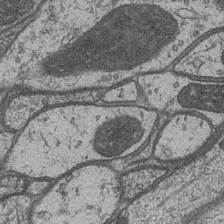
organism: Drosophila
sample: Optic medulla